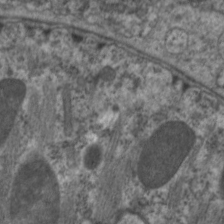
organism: C. elegans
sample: Pharynx